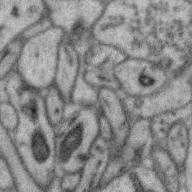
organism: Zebra finch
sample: Brain